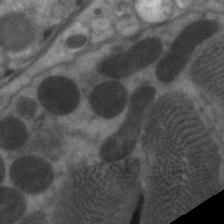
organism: C. elegans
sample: Pharynx